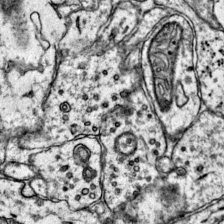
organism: Mouse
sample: Primary visual cortex